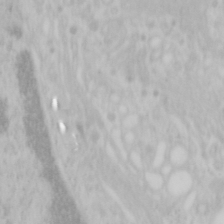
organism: Mouse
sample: OT-I killer T cells with ID8 ovarian cancer cells